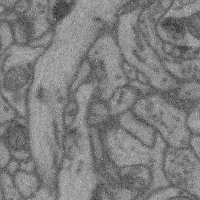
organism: Mouse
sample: Cerebral cortex